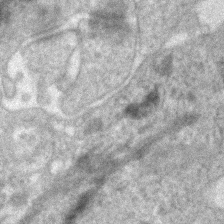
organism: Human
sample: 1205lu cells